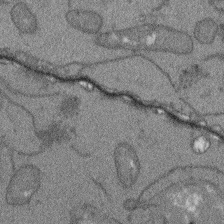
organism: Arabidopsis thaliana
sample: Root tip